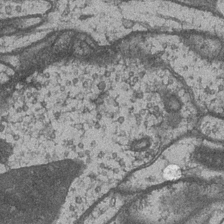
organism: Drosophila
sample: Optic medulla